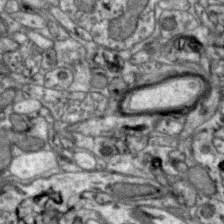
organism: Zebra finch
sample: Brain